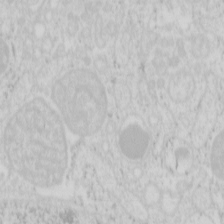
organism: Mouse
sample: Pancreas